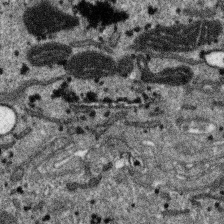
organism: Human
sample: Lung epithelial cells infected with SARS-CoV-2